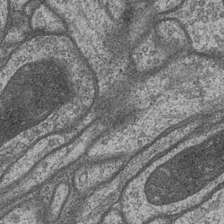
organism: Drosophila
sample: Optic medulla